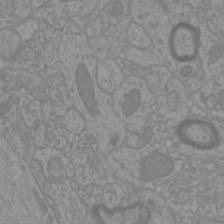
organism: Mouse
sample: Cortical neurons